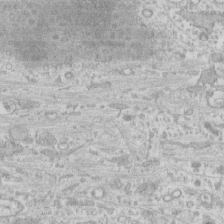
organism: Human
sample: CRL-1474